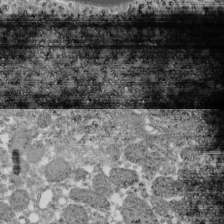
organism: Xenopus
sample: Cilia; centrioles in frog embryo cells